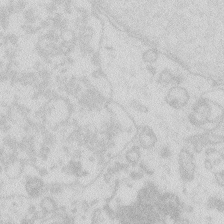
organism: Zebrafish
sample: Macrophage